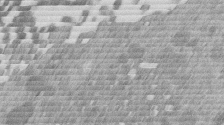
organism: Mouse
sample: Dividing mouse embryo 1 cell stage